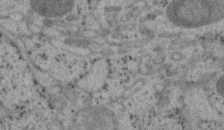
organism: Human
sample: HeLa cells